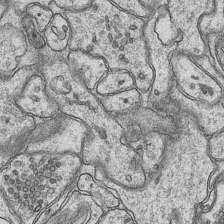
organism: Mouse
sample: CA1 Hippocampus